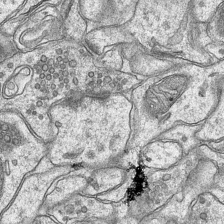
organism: Mouse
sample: CA1 Hippocampus